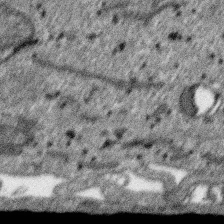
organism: Human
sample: Lung epithelial cells infected with SARS-CoV-2